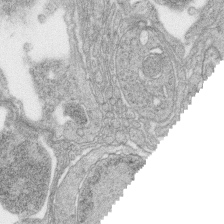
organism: Zebrafish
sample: synaptic ribbons in rod cells and cone cells